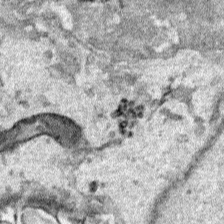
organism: Human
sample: Mitochondria in HCT116 cells